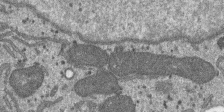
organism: Human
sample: Lung epithelial cells infected with SARS-CoV-2